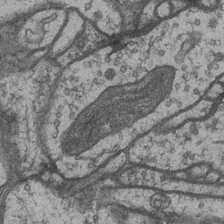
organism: Drosophila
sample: Optic medulla